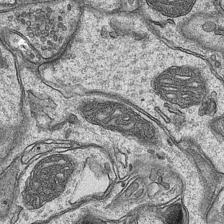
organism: Mouse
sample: CA1 Hippocampus